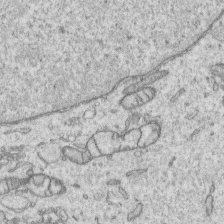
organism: Human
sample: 1205lu cells